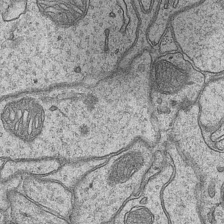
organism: Mouse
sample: CA1 Hippocampus